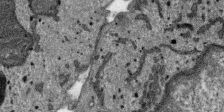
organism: Human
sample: Lung epithelial cells, uninfected (mock) control